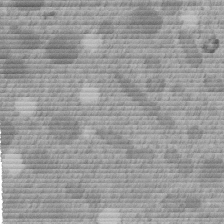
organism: C. elegans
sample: C. elegans embryo early stage